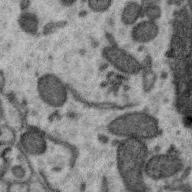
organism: Zebra finch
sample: Brain